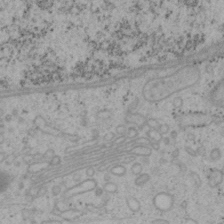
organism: Human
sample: HeLa cells